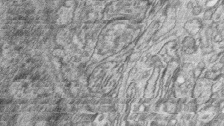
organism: Zebrafish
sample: synaptic ribbons in rod cells and cone cells